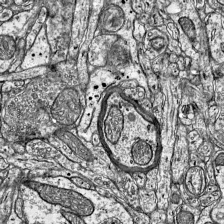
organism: Mouse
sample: Visual Cortex